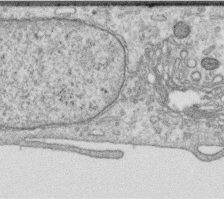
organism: Human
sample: Centriole in RPE cells